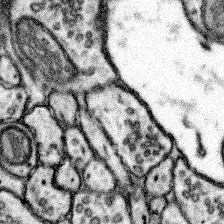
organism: Mouse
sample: Somatosensory cortex neuropil